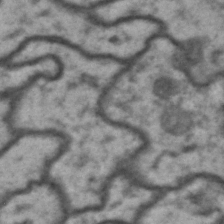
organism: Drosophila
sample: Brain